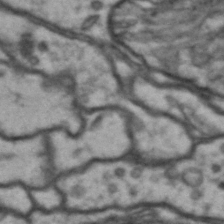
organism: Drosophila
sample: Brain